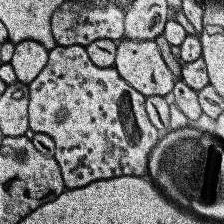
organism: Human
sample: Temporal Lobe